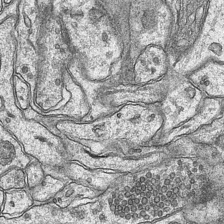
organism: Mouse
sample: CA1 Hippocampus